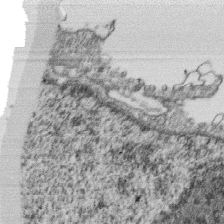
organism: African green monkey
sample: Vero E6 cells infected with SARS-CoV-2